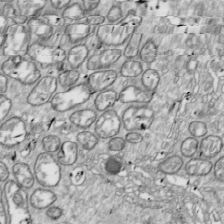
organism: Drosophila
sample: Cell division; meiosis; drosophila spermatocytes